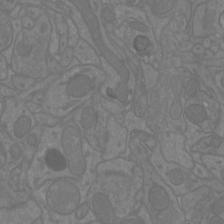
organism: Mouse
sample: Cortical neurons